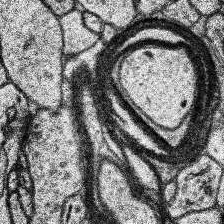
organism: Human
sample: Temporal Lobe